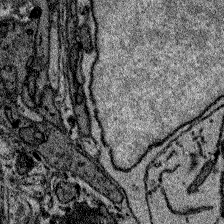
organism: Zebrafish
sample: Larval olfactory bulb